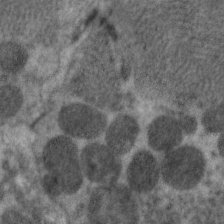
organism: C. elegans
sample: Pharynx